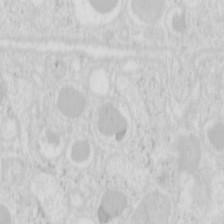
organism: Mouse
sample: Pancreas